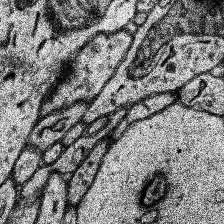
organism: Human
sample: Temporal Lobe